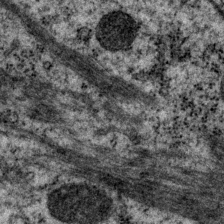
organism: P. pacificus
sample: Pharynx